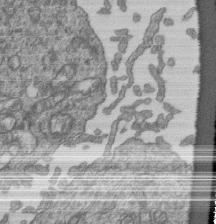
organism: Human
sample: Retinal organoid Rod and Cone cells